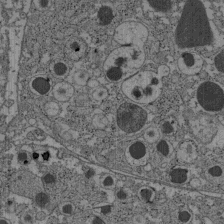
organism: C57BL Mouse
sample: Pancreatic islet